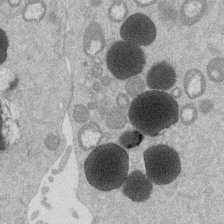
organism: Mouse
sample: Dividing mouse embryo 1 cell stage